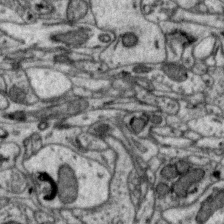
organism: Zebra finch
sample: Brain